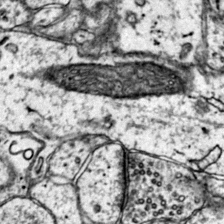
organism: Mouse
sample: Primary visual cortex